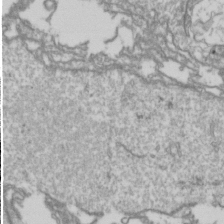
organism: Drosophila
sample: Cell division; meiosis; drosophila spermatocytes